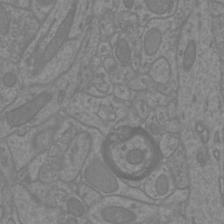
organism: Mouse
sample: Cortical neurons